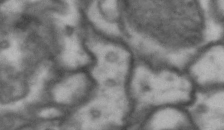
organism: Drosophila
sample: Brain